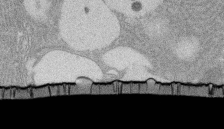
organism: Rat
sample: Salivary granule